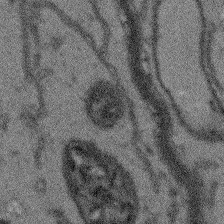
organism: Arabidopsis thaliana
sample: Root tip